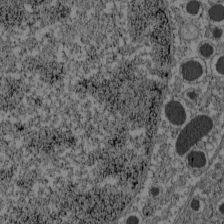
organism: C57BL Mouse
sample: Pancreatic islet